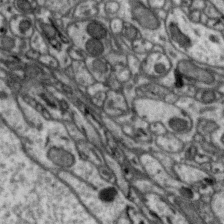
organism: Zebra finch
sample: Brain